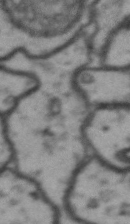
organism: Drosophila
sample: Brain